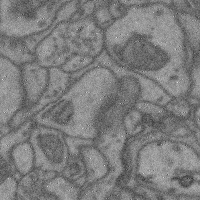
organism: Mouse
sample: Cerebral cortex